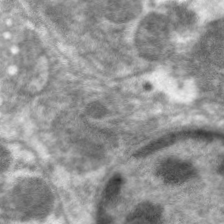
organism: C. elegans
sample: Pharynx